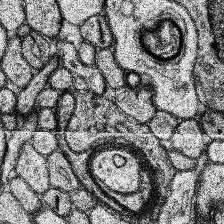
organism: Human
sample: Temporal Lobe